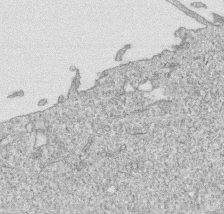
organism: Human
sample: HeLa cell HIV synapse